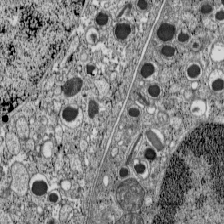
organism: C57BL Mouse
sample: Pancreatic islet